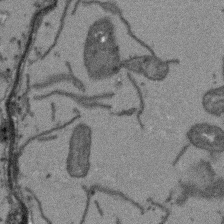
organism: Arabidopsis thaliana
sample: Root tip